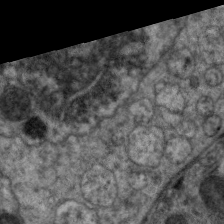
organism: C. elegans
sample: Pharynx